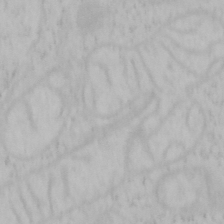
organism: Human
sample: HeLa cells